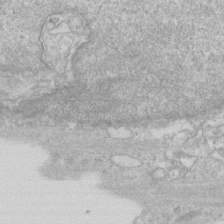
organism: Human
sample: Fibroblast cells